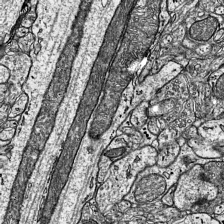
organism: Mouse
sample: Visual Cortex